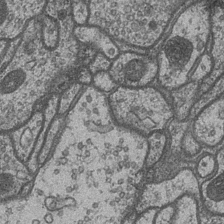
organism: Drosophila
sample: Optic medulla